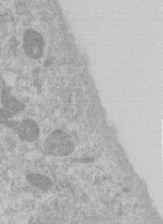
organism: Human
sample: Centriole in RPE cells